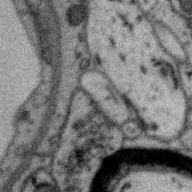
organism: Zebra finch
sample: Brain